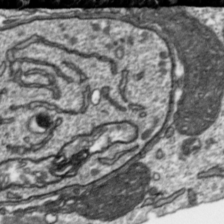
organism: Toxoplasma gondii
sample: Parasites in a vacuole inside a host cell